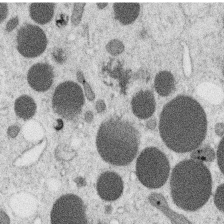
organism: C. elegans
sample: C. elegans oocyte; sperm cells